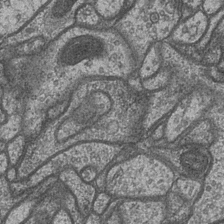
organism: Drosophila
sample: Optic medulla